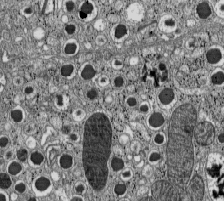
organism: C57BL Mouse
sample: Pancreatic islet